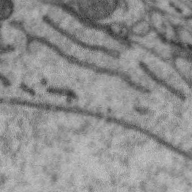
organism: Zebra finch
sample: Brain